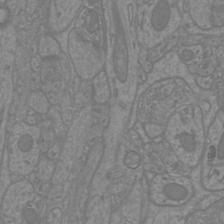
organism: Mouse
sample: Cortical neurons